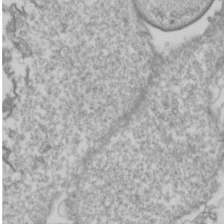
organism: Drosophila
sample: Cell division; meiosis; drosophila spermatocytes